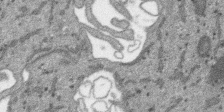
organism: Human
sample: Lung epithelial cells infected with SARS-CoV-2